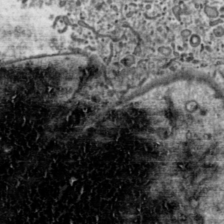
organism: Toxoplasma gondii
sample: Parasites in a vacuole inside a host cell